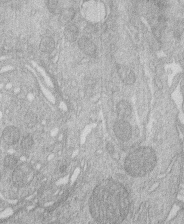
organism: Human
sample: Macrophage cells